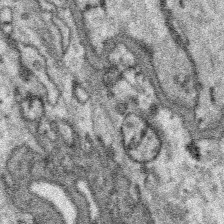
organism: Platynereis dumerilii